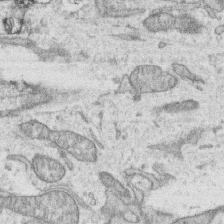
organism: Human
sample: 1205lu cells